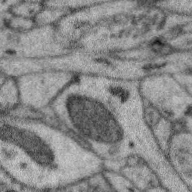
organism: Zebra finch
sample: Brain